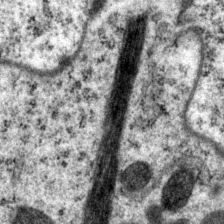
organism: P. pacificus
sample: Pharynx